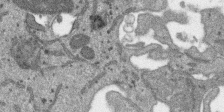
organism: Human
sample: Lung epithelial cells infected with SARS-CoV-2